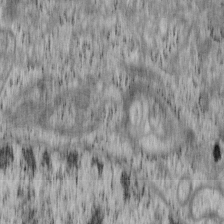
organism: Human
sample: HeLa cells